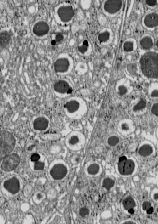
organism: C57BL Mouse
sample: Pancreatic islet